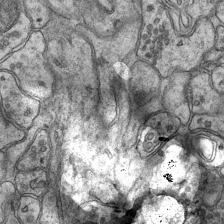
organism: Mouse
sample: CA1 Hippocampus